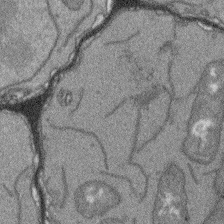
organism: Arabidopsis thaliana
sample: Root tip